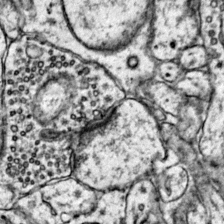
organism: Mouse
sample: Primary visual cortex